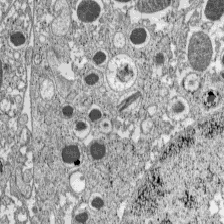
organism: C57BL Mouse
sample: Pancreatic islet